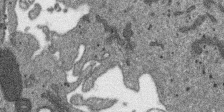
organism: Human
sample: Lung epithelial cells infected with SARS-CoV-2